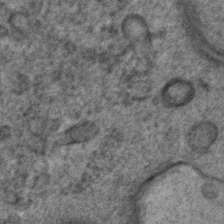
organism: C. elegans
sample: C. elegans embryo